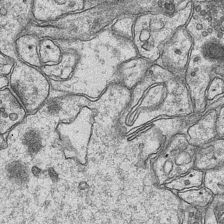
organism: Mouse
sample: CA1 Hippocampus